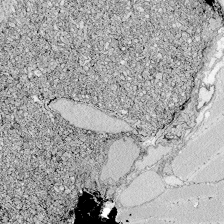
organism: Zebrafish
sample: Whole-Brain